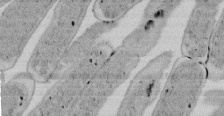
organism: E. coli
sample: Bacterial nucleoid